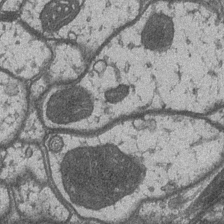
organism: Drosophila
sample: Optic medulla